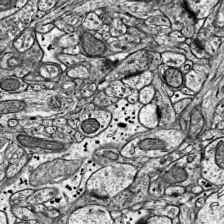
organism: Mouse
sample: Visual Cortex